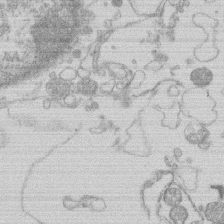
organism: Human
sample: Macrophage cells